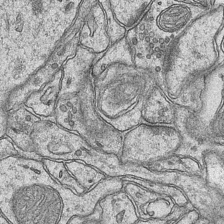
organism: Mouse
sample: CA1 Hippocampus